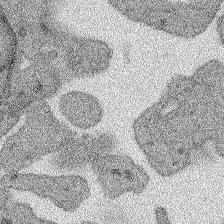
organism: Human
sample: HeLa cells